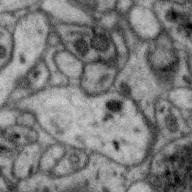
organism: Zebra finch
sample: Brain